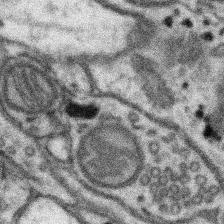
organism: Mouse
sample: Somatosensory cortex neuropil